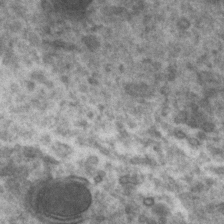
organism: Zebrafish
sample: Zebrafish embryo